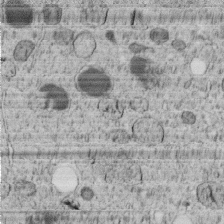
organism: C. elegans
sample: C. elegans embryo early stage